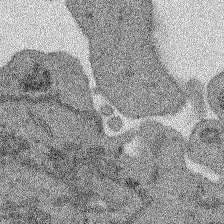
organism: Human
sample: HeLa cells